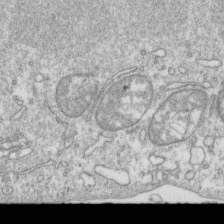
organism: Mouse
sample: Activated OT-1 CD8+ T cells